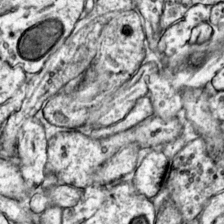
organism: Mouse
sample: Primary visual cortex